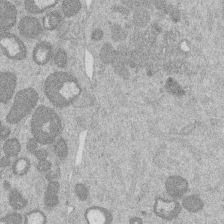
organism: Mouse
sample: Dividing mouse embryo 1 cell stage